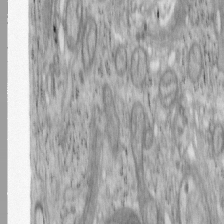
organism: Human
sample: HeLa cells